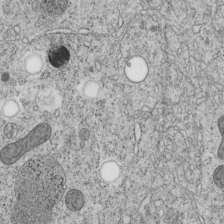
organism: C. elegans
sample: C. elegans embryo early stage